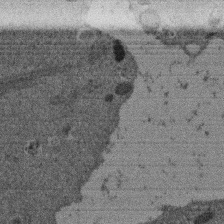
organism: Mouse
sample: Dividing mouse embryo 1 cell stage